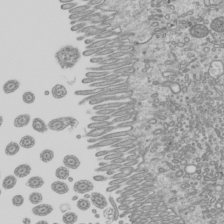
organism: Mouse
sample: Cilia; mouse epididymis